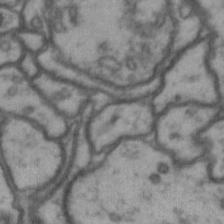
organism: Drosophila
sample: Brain